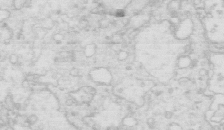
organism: Mouse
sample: Multiciliated cells